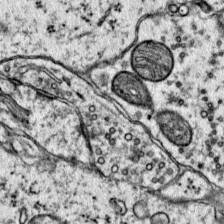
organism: Mouse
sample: Primary visual cortex